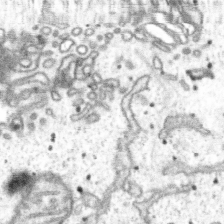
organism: Human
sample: HeLa cells